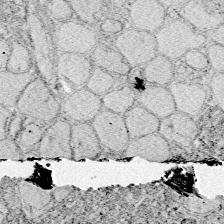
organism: Zebrafish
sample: Whole-Brain